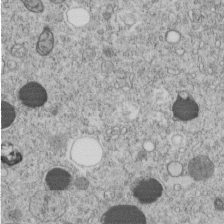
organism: C. elegans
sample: C. elegans embryo early stage